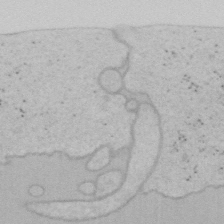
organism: Human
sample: HeLa cells